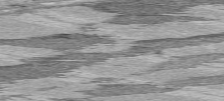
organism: C57BL Mouse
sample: Heart